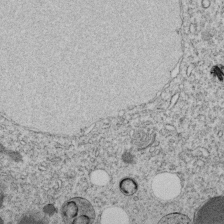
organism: C. elegans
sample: C. elegans embryo early stage